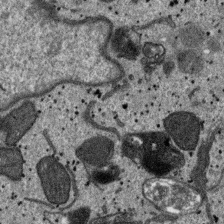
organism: Human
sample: Lung epithelial cells, uninfected (mock) control